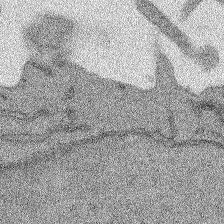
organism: Human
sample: HeLa cells